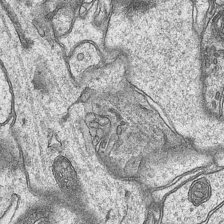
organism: Mouse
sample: CA1 Hippocampus